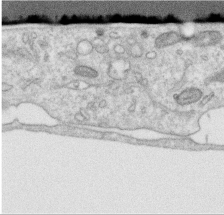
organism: Human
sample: Centriole in RPE cells